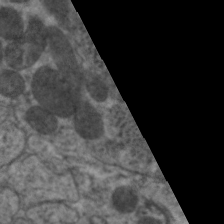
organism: C. elegans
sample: Pharynx